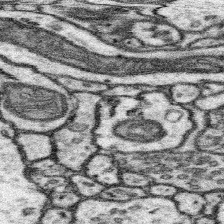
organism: Mouse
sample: Somatosensory cortex neuropil